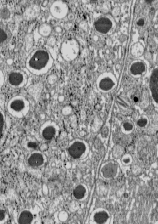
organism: C57BL Mouse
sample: Pancreatic islet